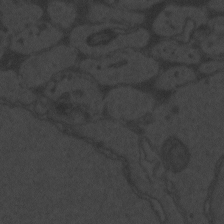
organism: Zebrafish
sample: Macrophage infected with Toxoplasma gondii